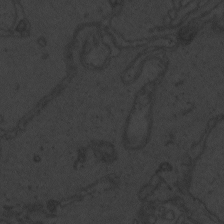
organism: Zebrafish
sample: Macrophage infected with Toxoplasma gondii